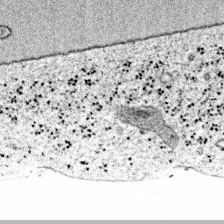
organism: Human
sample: HeLa cells